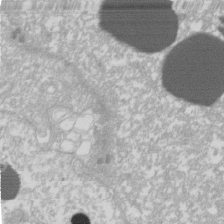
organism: Xenopus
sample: Cilia; centrioles in frog embryo cells